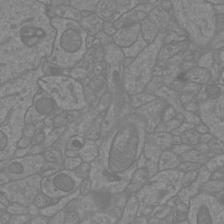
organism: Mouse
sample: Cortical neurons